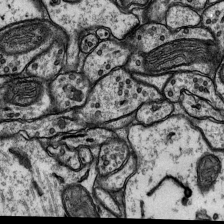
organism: Rat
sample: Hippocampus